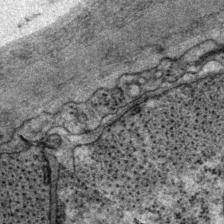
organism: P. pacificus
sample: Pharynx